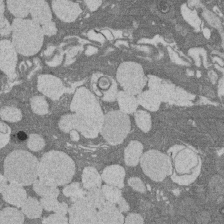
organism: Rat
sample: Salivary granule